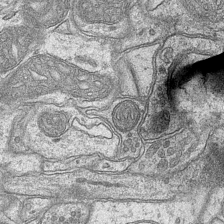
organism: Mouse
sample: CA1 Hippocampus